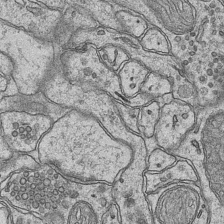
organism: Mouse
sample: CA1 Hippocampus